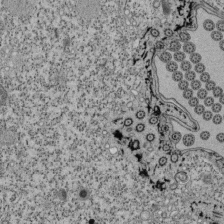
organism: Tetrahymena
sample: Cilia in tetrahymena